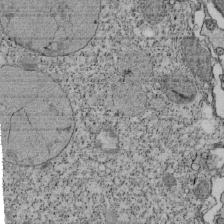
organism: Tetrahymena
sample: Cilia in tetrahymena